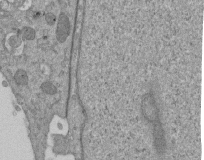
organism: Mouse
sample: ED-1 cell nuclei; centrioles